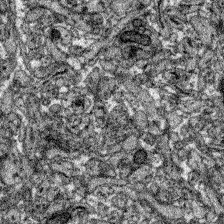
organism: Zebrafish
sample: Larval olfactory bulb